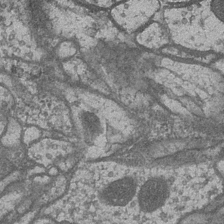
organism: Drosophila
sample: Optic medulla